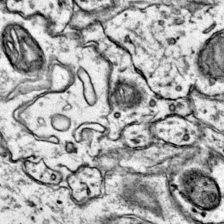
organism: Mouse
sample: Primary visual cortex